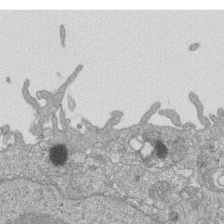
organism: Human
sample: HeLa cell HIV synapse